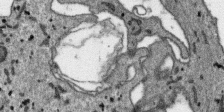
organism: Human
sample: Lung epithelial cells, uninfected (mock) control